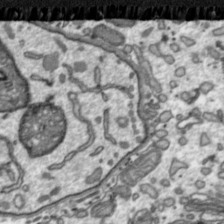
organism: Toxoplasma gondii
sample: Parasites in a vacuole inside a host cell